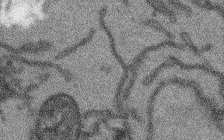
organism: Arabidopsis thaliana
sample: Root tip